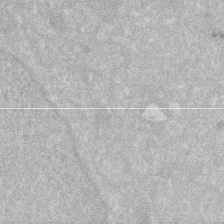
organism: Human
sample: HIV infected U937 cells